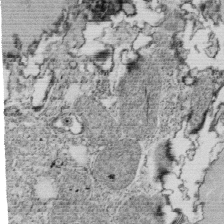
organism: Tetrahymena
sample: Cilia in tetrahymena